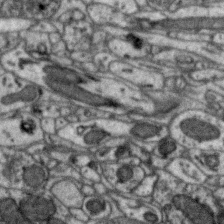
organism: Zebra finch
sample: Brain